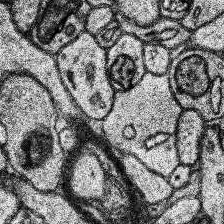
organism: Human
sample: Temporal Lobe